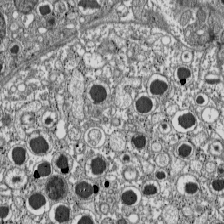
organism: C57BL Mouse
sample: Pancreatic islet